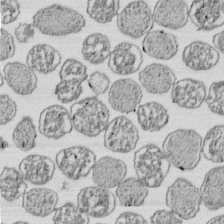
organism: E. coli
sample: Bacterial nucleoid